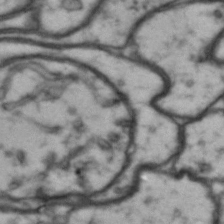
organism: Drosophila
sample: Brain